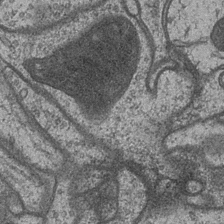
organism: Drosophila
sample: Optic medulla